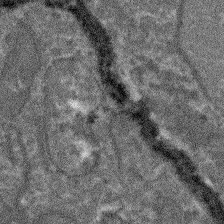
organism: Arabidopsis thaliana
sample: Root tip